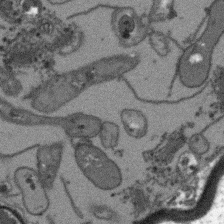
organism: Arabidopsis thaliana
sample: Root tip